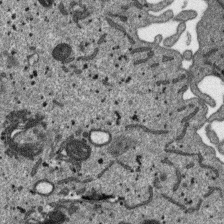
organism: Human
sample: Lung epithelial cells infected with SARS-CoV-2